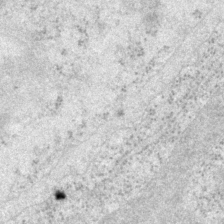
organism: P. pacificus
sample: Pharynx